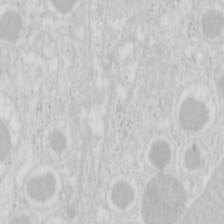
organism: Mouse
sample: Pancreas